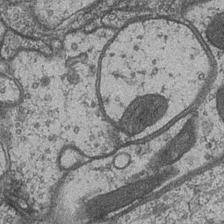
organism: Drosophila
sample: Optic medulla